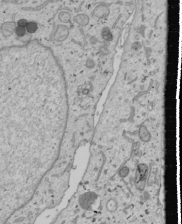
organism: Human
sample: Mitochondria in U2OS cells